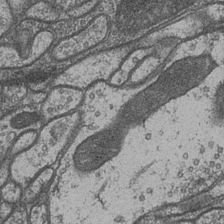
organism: Drosophila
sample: Optic medulla